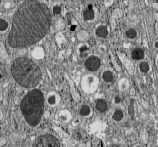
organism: C57BL Mouse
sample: Pancreatic islet